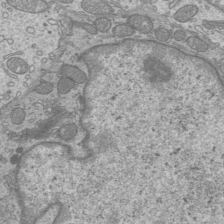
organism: Mouse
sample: Cilia; mouse epididymis